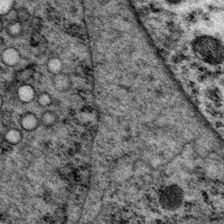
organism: P. pacificus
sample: Pharynx